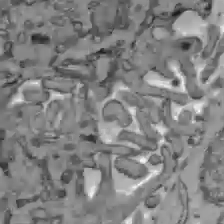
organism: C57BL Mouse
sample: Liver